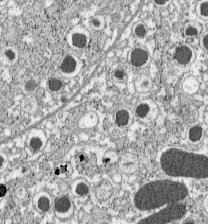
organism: C57BL Mouse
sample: Pancreatic islet